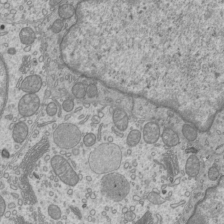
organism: Mouse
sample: Cilia; mouse epididymis